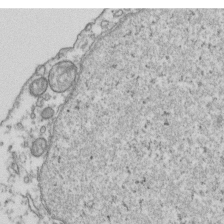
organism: Human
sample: Activated Jurkat CD4+ T cells